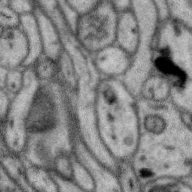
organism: Zebra finch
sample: Brain